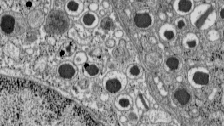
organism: C57BL Mouse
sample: Pancreatic islet